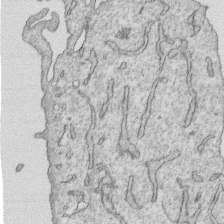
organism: Human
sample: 1205lu cells